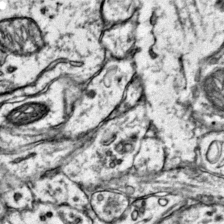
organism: Mouse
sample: Primary visual cortex